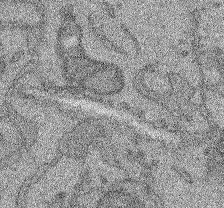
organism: Human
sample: HeLa cells